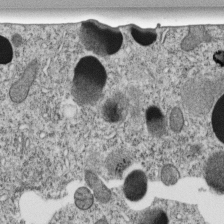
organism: C. elegans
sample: C. elegans embryo early stage